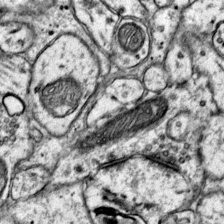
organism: Mouse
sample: Primary visual cortex